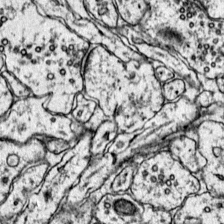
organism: Mouse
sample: Primary visual cortex